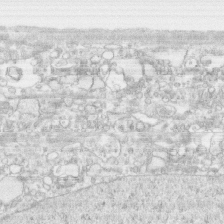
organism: Human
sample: CRL-1474